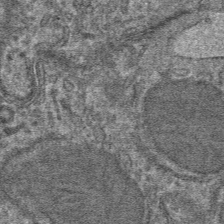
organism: Mouse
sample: Mouse hepatocytes